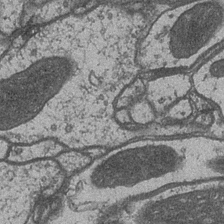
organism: Drosophila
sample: Optic medulla